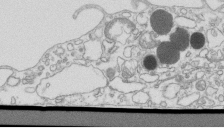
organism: Mouse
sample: Macrophages